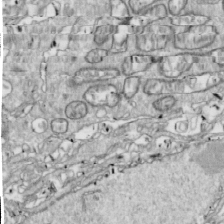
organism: Drosophila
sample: Cell division; meiosis; drosophila spermatocytes